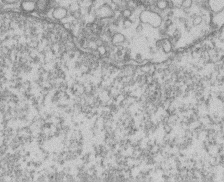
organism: Mouse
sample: T cell stromal cell synapse